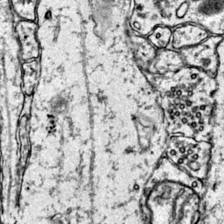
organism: Mouse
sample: Primary visual cortex